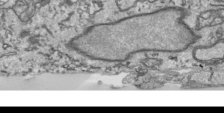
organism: Human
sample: Mitochondria in HCT116 cells